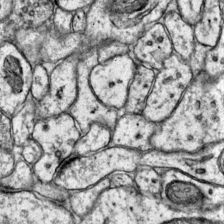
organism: Mouse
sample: Primary visual cortex